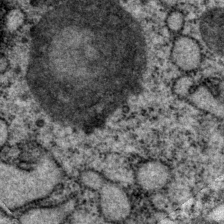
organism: P. pacificus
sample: Pharynx